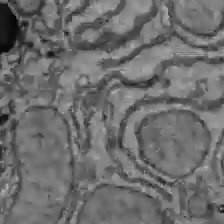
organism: C57BL Mouse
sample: Liver